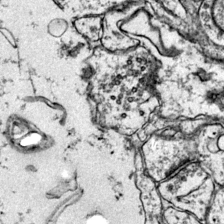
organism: Mouse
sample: Primary visual cortex